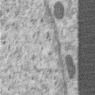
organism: Human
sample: Centriole in RPE cells